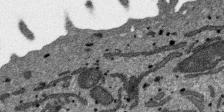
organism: Human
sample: Lung epithelial cells, uninfected (mock) control